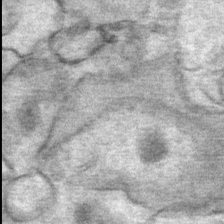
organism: Mouse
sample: Mouse Salivary gland